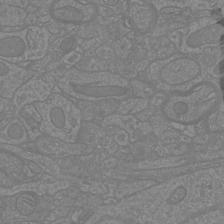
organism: Mouse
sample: Cortical neurons